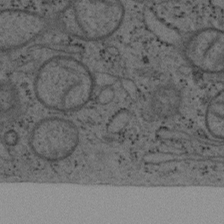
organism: Human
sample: HeLa cells